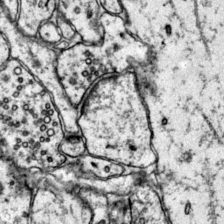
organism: Mouse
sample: Primary visual cortex